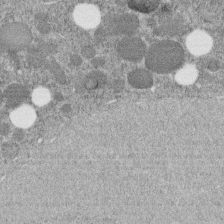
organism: C. elegans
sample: C. elegans embryo early stage